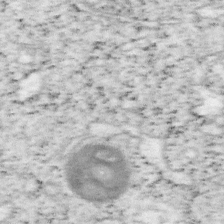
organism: Mouse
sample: OT-I killer T cells with ID8 ovarian cancer cells